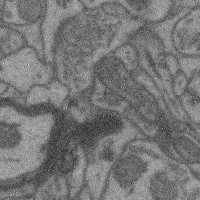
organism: Mouse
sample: Cerebral cortex